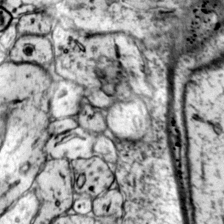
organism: Mouse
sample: Primary visual cortex